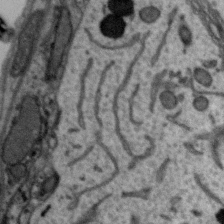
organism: Zebra finch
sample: Brain